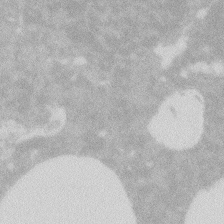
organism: Zebrafish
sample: Macrophage